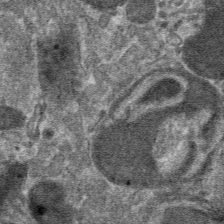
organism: Mouse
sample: Mouse hepatocytes